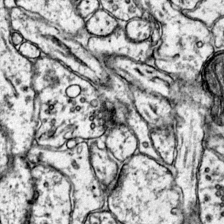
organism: Mouse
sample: Primary visual cortex